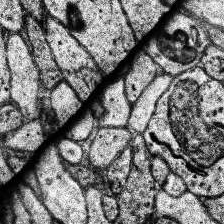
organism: Human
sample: Temporal Lobe